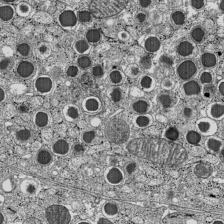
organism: C57BL Mouse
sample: Pancreatic islet